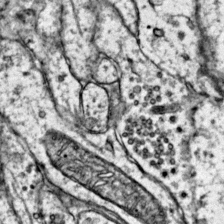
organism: Mouse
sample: Primary visual cortex